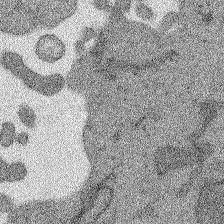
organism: Human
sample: HeLa cells